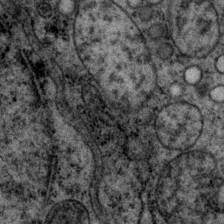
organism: P. pacificus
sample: Pharynx